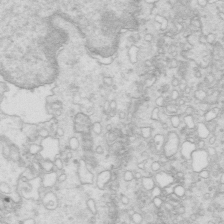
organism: Mouse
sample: Multiciliated cells